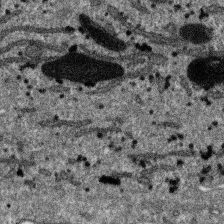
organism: Human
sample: Lung epithelial cells infected with SARS-CoV-2